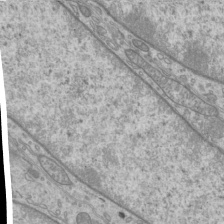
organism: Mouse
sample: Cilia; mouse epididymis